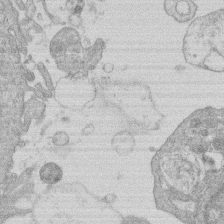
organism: Human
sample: Macrophage cells